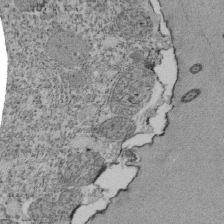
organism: Tetrahymena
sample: Cilia in tetrahymena